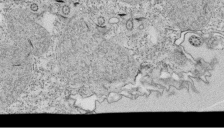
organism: Tetrahymena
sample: Cilia in tetrahymena